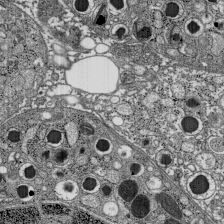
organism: C57BL Mouse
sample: Pancreatic islet